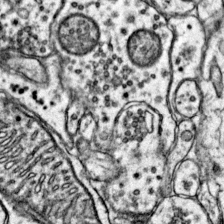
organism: Mouse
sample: Primary visual cortex